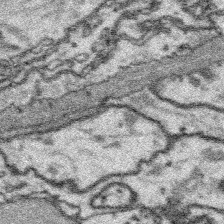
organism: Platynereis dumerilii